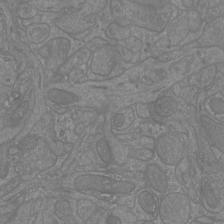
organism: Mouse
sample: Cortical neurons